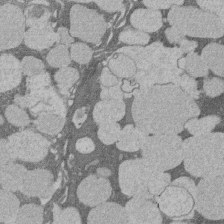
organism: Rat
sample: Salivary granule